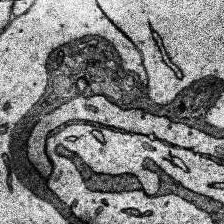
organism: Human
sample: Temporal Lobe